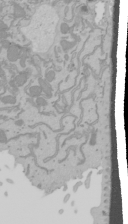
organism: Mouse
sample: Cancer cell death in ED-1 cells